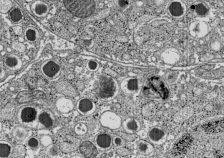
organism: C57BL Mouse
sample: Pancreatic islet